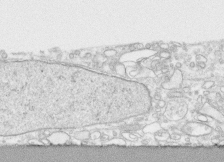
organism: Human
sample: CRL-1474